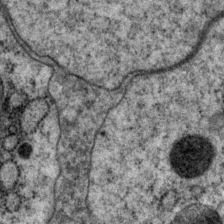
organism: P. pacificus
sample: Pharynx